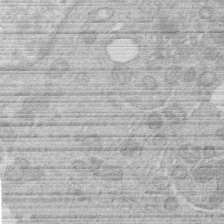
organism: Human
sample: Macrophage cells